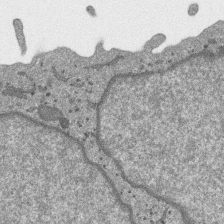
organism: Human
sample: Lung epithelial cells infected with SARS-CoV-2